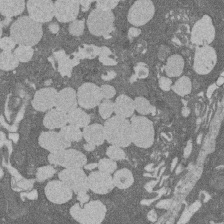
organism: Rat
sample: Salivary granule